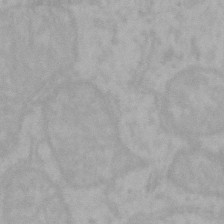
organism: Mouse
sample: Choroid plexus